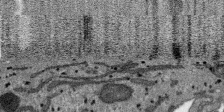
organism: Human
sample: Lung epithelial cells, uninfected (mock) control